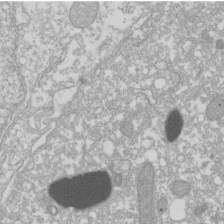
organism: Xenopus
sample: Cilia; centrioles in frog embryo cells